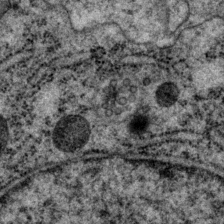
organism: P. pacificus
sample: Pharynx